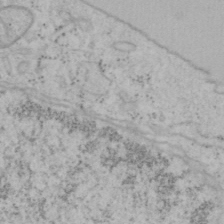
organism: Human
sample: HeLa cells